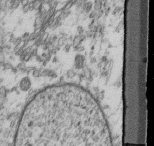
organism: Mouse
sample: Cilia; retinal pigment epithelium